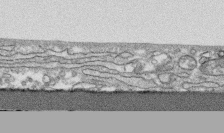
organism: Human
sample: CRL-1474